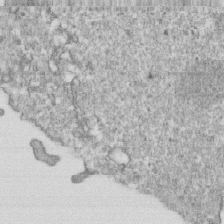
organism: Mouse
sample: Activated OT-1 CD8+ T cells